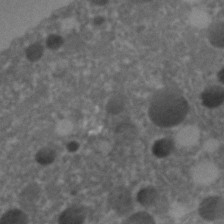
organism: C. elegans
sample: C. elegans embryo